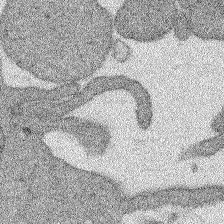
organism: Human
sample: HeLa cells